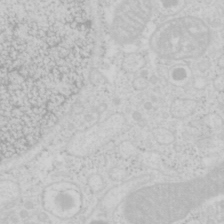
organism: Mouse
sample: Pancreas